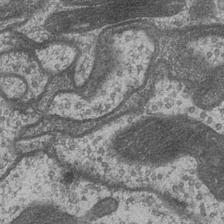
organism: Drosophila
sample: Optic medulla